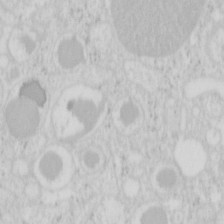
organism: Mouse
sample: Pancreas